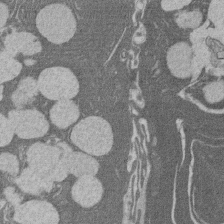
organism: Rat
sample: Salivary granule